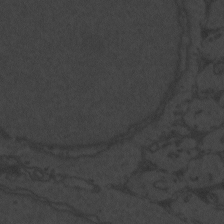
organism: Zebrafish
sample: Macrophage infected with Toxoplasma gondii